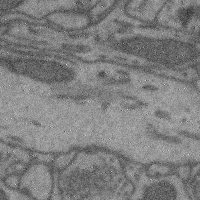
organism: Mouse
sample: Cerebral cortex